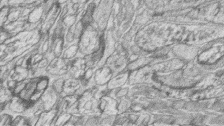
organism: Zebrafish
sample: synaptic ribbons in rod cells and cone cells